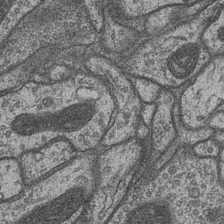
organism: Drosophila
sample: Optic medulla